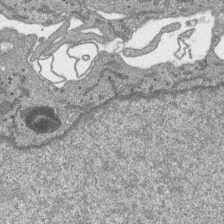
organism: Human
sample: Lung epithelial cells infected with SARS-CoV-2